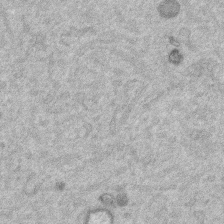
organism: Mouse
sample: Dividing mouse embryo 1 cell stage